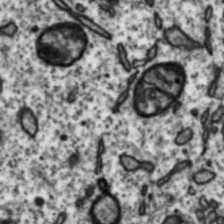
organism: Human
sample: HeLa cells